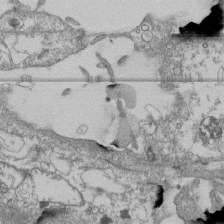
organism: Human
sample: Fibroblast cells